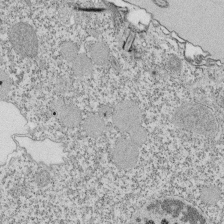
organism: Tetrahymena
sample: Cilia in tetrahymena